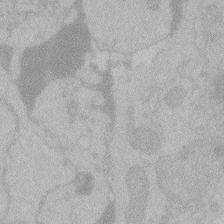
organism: Zebrafish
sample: Macrophage infected with Toxoplasma gondii